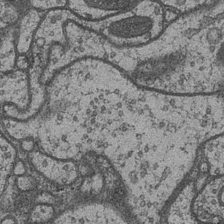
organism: Drosophila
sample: Optic medulla